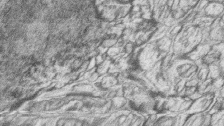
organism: Zebrafish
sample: synaptic ribbons in rod cells and cone cells